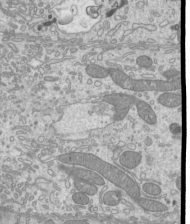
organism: Mouse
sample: Cilia; mouse epididymis